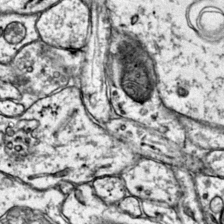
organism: Mouse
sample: Primary visual cortex